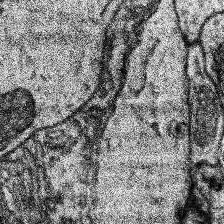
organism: Human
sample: Temporal Lobe